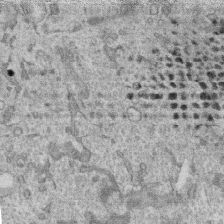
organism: Human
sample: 1205lu cells